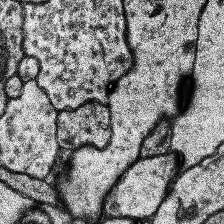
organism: Human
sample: Temporal Lobe